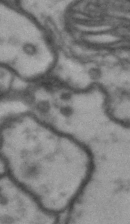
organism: Drosophila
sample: Brain